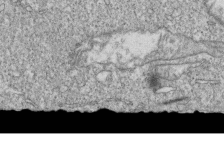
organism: Human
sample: HeLa cell HIV synapse